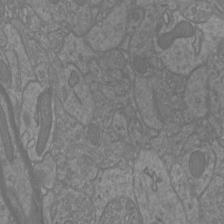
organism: Mouse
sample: Cortical neurons